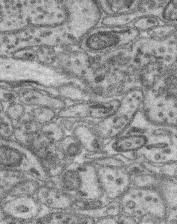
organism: Mouse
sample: Retina